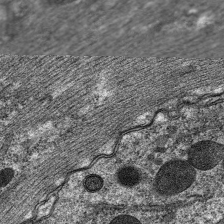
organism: C. elegans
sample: Pharynx